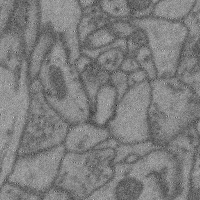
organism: Mouse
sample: Cerebral cortex